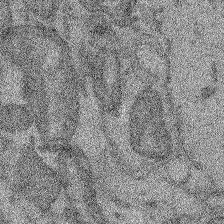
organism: Human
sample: HeLa cells